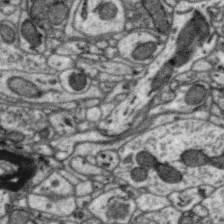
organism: Zebra finch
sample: Brain